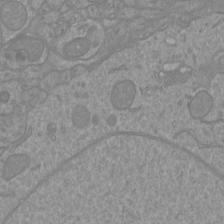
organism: Mouse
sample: Cortical neurons